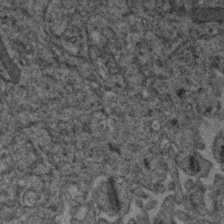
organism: Human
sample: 1205lu cells